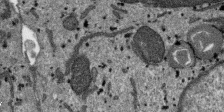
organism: Human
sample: Lung epithelial cells, uninfected (mock) control